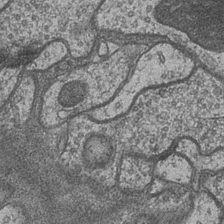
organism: Drosophila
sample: Optic medulla